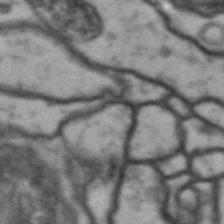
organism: Drosophila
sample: Brain